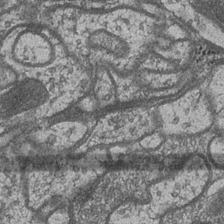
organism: Drosophila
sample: Optic medulla